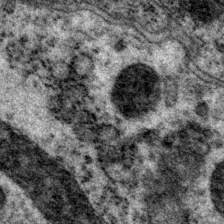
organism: P. pacificus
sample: Pharynx